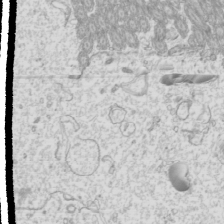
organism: Mouse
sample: Cilia; mouse epididymis